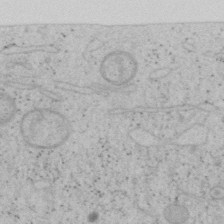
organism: Human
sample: HeLa cells